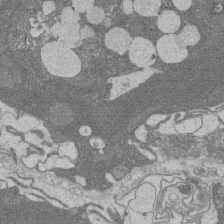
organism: Rat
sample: Salivary granule